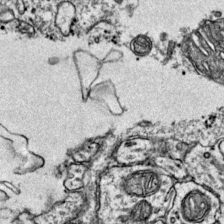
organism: Mouse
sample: Primary visual cortex